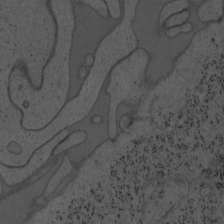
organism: Mouse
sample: OT-I killer T cells with ID8 ovarian cancer cells